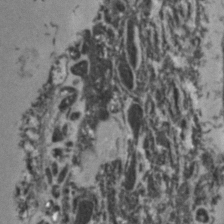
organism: Zebrafish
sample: Zebrafish embryo